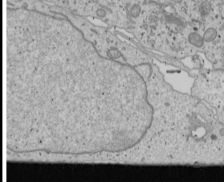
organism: Human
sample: Mitochondria in U2OS cells